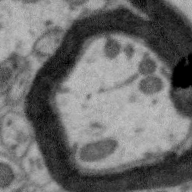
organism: Zebra finch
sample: Brain